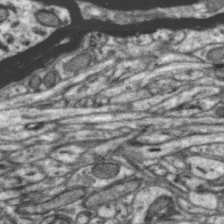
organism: Zebra finch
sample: Brain